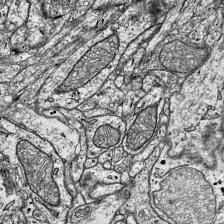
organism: Mouse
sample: Visual Cortex